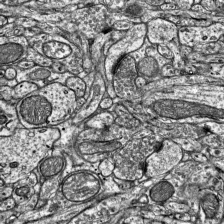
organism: Mouse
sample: Visual Cortex